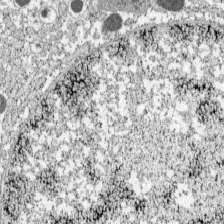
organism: C57BL Mouse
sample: Pancreatic islet